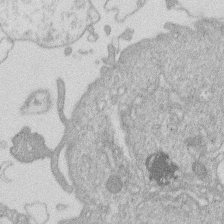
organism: Human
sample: Macrophage cells